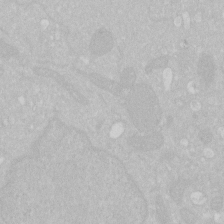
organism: Human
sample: HIV infected U937 cells